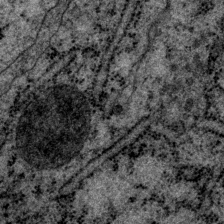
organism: P. pacificus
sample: Pharynx